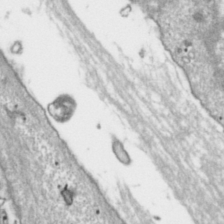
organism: Toxoplasma gondii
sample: Parasites in a vacuole inside a host cell